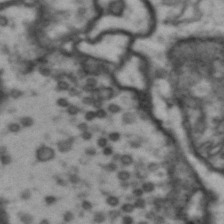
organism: Drosophila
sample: Brain